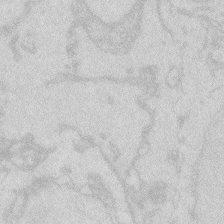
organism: Zebrafish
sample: Macrophage